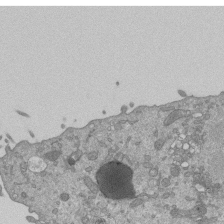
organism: Mouse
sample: ED-1 cell nuclei; centrioles